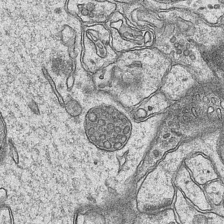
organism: Mouse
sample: CA1 Hippocampus